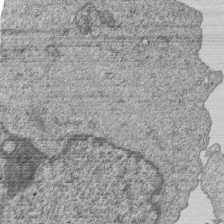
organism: Human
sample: MDA-MB-231 cells